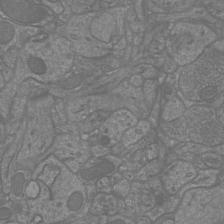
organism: Mouse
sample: Cortical neurons